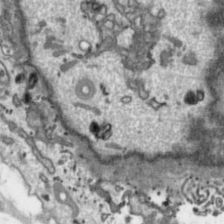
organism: Toxoplasma gondii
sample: Parasites in a vacuole inside a host cell